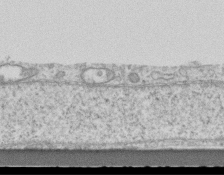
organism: Mouse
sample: Centriole in ependymal cells